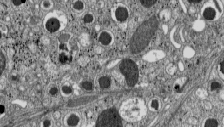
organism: C57BL Mouse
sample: Pancreatic islet